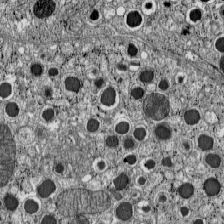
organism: C57BL Mouse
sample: Pancreatic islet